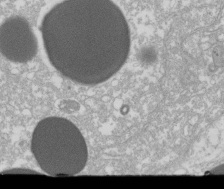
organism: Xenopus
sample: Cilia; centrioles in frog embryo cells